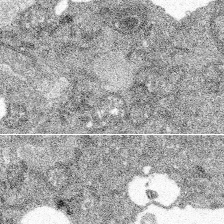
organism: Spongilla lacustris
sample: Multiple